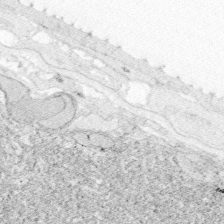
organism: Zebrafish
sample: Whole-Brain